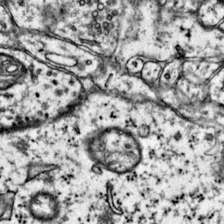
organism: Mouse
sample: Primary visual cortex